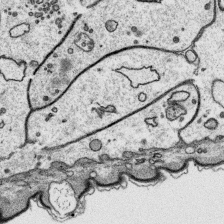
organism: Platynereis dumerilii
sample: Parapodia